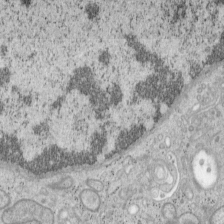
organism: Mouse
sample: OT-I killer T cells with ID8 ovarian cancer cells